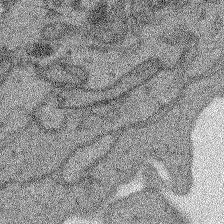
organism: Human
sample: HeLa cells